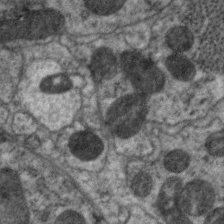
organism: C. elegans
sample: Pharynx